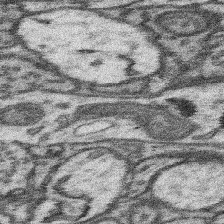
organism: Mouse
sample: Somatosensory cortex neuropil